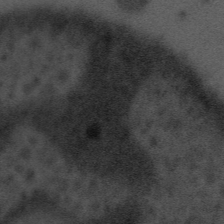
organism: Tuwongella immobilis